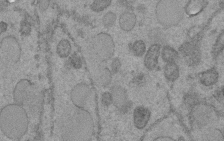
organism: C. elegans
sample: C. elegans embryo early stage